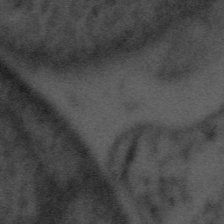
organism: Tuwongella immobilis